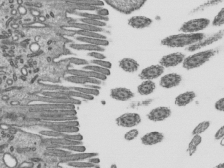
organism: Mouse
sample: Mouse epididymis efferent ductule cilia